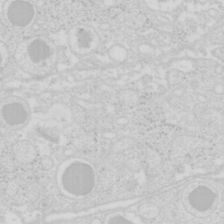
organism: Mouse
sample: Pancreas